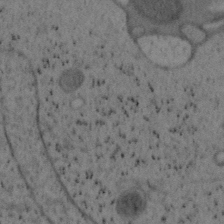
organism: Human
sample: HeLa cells